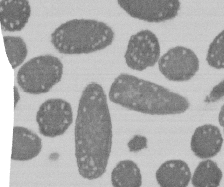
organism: E. coli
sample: Bacterial nucleoid